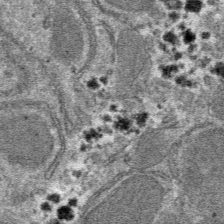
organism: Mouse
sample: Mouse hepatocytes